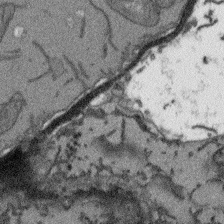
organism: Arabidopsis thaliana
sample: Root tip